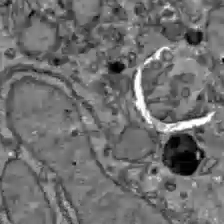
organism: C57BL Mouse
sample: Liver